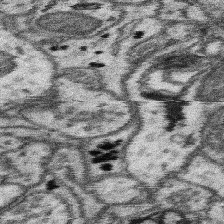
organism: Mouse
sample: Somatosensory cortex neuropil